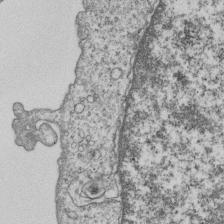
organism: Human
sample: MDA-MB-231 cells